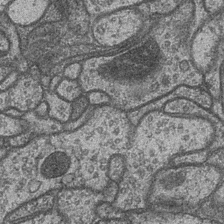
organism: Drosophila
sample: Optic medulla